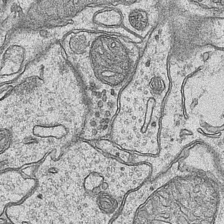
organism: Mouse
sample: CA1 Hippocampus